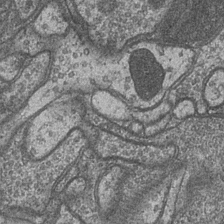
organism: Drosophila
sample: Optic medulla